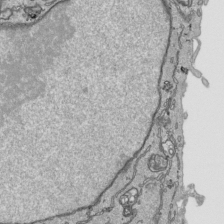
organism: Human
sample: Mitochondria in HCT116 cells